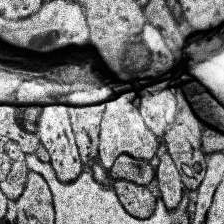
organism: Human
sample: Temporal Lobe